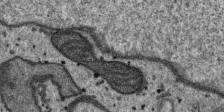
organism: Human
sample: Lung epithelial cells, uninfected (mock) control